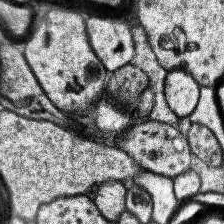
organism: Human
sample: Temporal Lobe